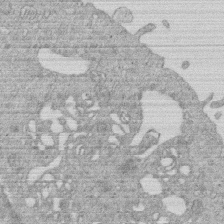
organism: Human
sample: Macrophage cells